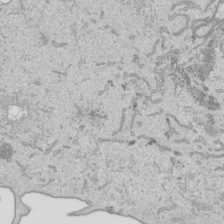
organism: Human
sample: Mitochondria in HCT116 cells